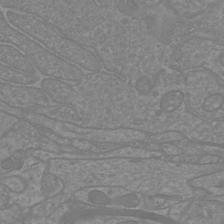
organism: Mouse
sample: Cortical neurons